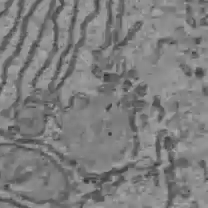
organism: C57BL Mouse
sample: Liver